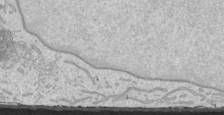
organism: Human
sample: Mitochondria in HCT116 cells